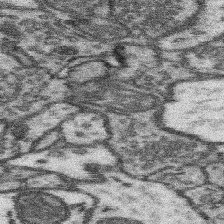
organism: Mouse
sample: Somatosensory cortex neuropil